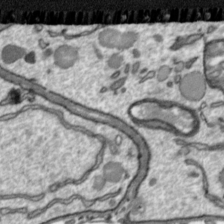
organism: Toxoplasma gondii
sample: Parasites in a vacuole inside a host cell